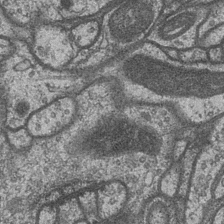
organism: Drosophila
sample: Optic medulla